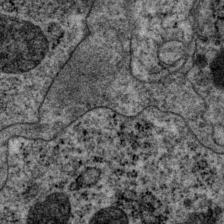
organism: P. pacificus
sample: Pharynx